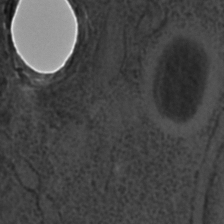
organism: C. elegans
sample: C. elegans embryo